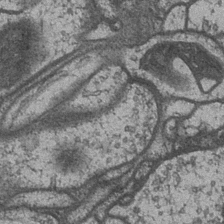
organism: Drosophila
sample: Optic medulla